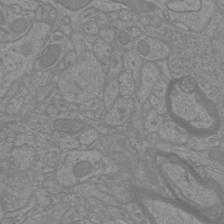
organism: Mouse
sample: Cortical neurons